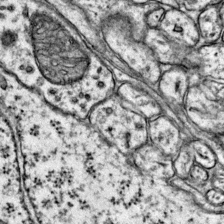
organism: Mouse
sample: Primary visual cortex